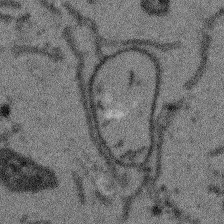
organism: Arabidopsis thaliana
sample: Root tip